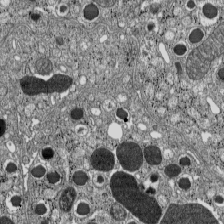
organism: C57BL Mouse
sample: Pancreatic islet